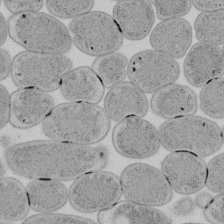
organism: E. coli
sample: Bacterial nucleoid